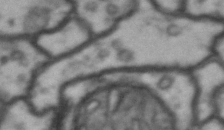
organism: Drosophila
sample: Brain